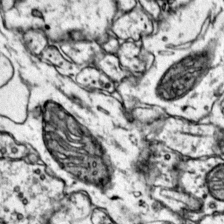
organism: Mouse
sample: Primary visual cortex